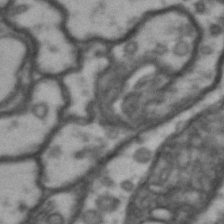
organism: Drosophila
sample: Brain